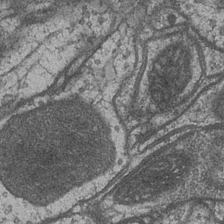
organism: Drosophila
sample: Optic medulla